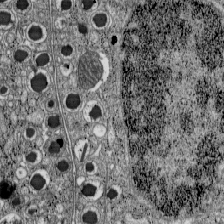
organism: C57BL Mouse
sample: Pancreatic islet